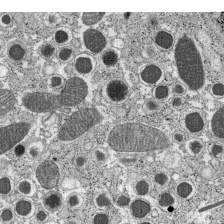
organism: C57BL Mouse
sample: Pancreatic islet